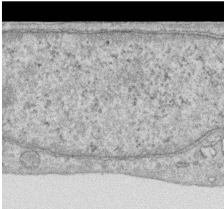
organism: Human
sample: Centriole in RPE cells